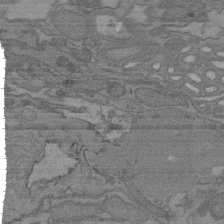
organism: C. elegans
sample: AFD neurons C. elegans